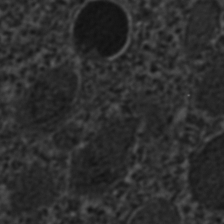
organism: C. elegans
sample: C. elegans embryo